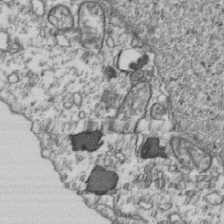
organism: Human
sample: Activated Jurkat CD4+ T cells